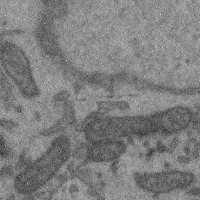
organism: Mouse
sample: Cerebral cortex